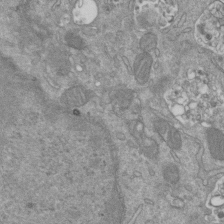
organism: Mouse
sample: ED-1 cell nuclei; centrioles